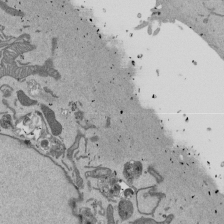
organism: Mouse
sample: ED-1 cell nuclei; centrioles